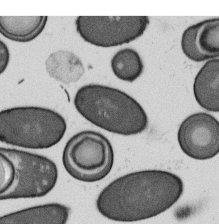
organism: B. subtilis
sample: Bacterial spore